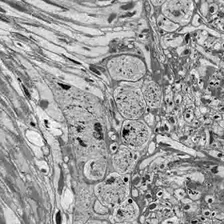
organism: Drosophila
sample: Optic lobe